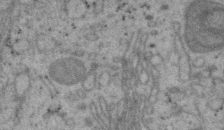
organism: Human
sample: HeLa cells